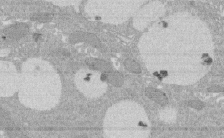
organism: Rat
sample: Salivary granule